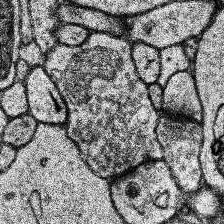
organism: Human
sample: Temporal Lobe